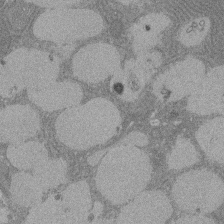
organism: Rat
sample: Salivary granule